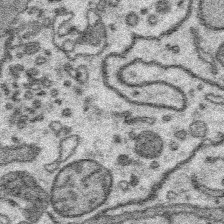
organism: Platynereis dumerilii